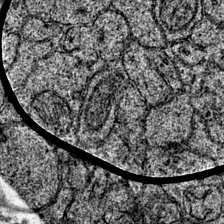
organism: Mouse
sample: Primary visual cortex